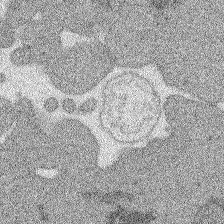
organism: Human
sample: HeLa cells